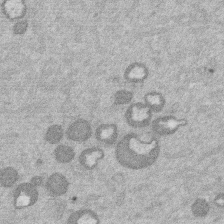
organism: Mouse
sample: Dividing mouse embryo 1 cell stage